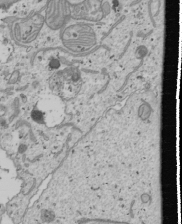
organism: Human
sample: Mitochondria in U2OS cells